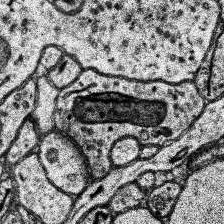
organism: Human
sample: Temporal Lobe